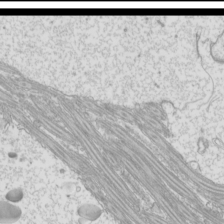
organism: Mouse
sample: Cilia; mouse epididymis